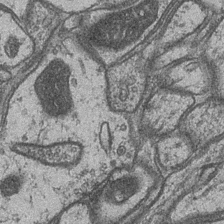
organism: Drosophila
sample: Optic medulla